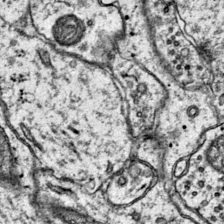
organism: Mouse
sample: Primary visual cortex